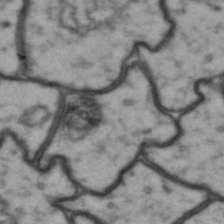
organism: Drosophila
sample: Brain